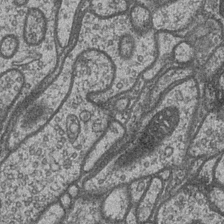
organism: Drosophila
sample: Optic medulla